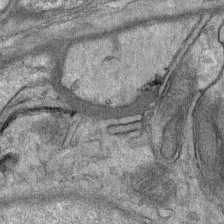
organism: Mouse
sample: Mouse Salivary gland